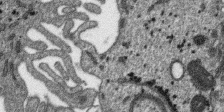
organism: Human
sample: Lung epithelial cells infected with SARS-CoV-2